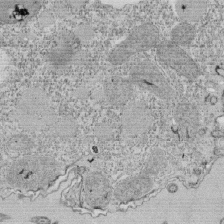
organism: Tetrahymena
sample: Cilia in tetrahymena